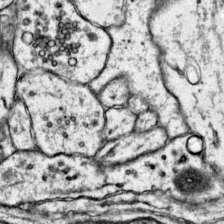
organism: Mouse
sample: Primary visual cortex